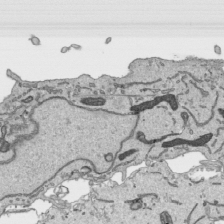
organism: Human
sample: Mitochondria in HCT116 cells